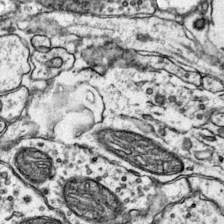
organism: Mouse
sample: Primary visual cortex